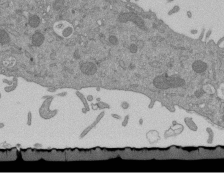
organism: Mouse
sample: ED-1 cell nuclei; centrioles